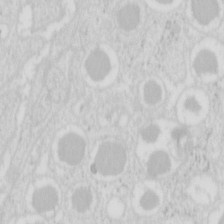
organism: Mouse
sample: Pancreas